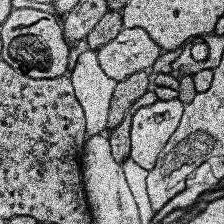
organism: Human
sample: Temporal Lobe